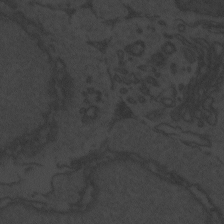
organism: Zebrafish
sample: Macrophage infected with Toxoplasma gondii